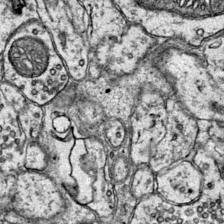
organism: Mouse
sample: Primary visual cortex